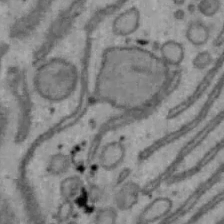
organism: Mouse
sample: Liver